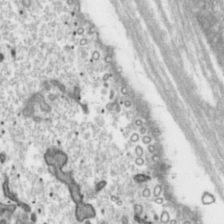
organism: Toxoplasma gondii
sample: Parasites in a vacuole inside a host cell